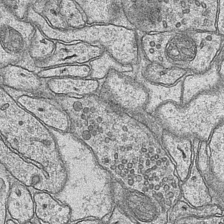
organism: Mouse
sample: CA1 Hippocampus